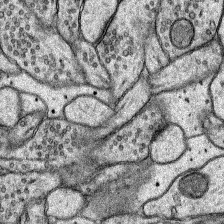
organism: Rat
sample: Hippocampus